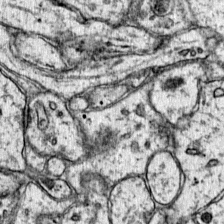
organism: Mouse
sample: Primary visual cortex